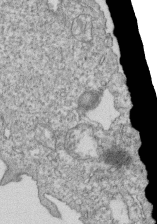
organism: Human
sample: HeLa cell HIV synapse